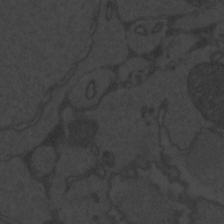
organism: Zebrafish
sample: Macrophage infected with Toxoplasma gondii